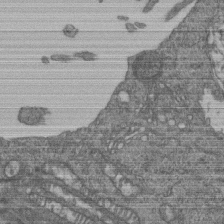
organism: Human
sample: Retinal organoid Rod and Cone cells